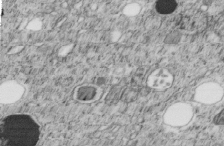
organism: C. elegans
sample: C. elegans embryo early stage